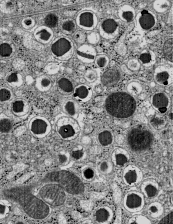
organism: C57BL Mouse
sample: Pancreatic islet